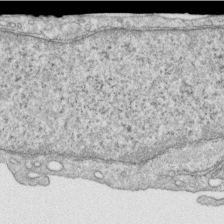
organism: Human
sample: Centriole in RPE cells